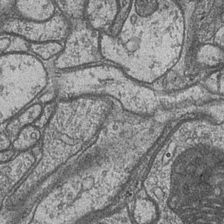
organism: Drosophila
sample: Optic medulla